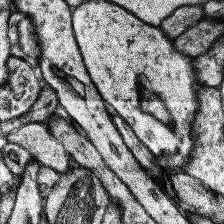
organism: Human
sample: Temporal Lobe